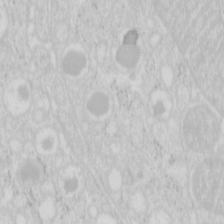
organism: Mouse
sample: Pancreas